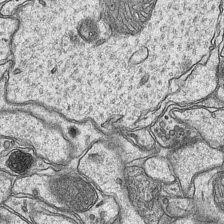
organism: Mouse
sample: CA1 Hippocampus